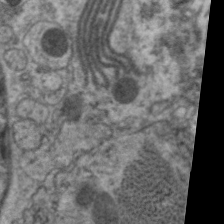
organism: C. elegans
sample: Pharynx